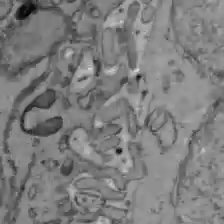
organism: C57BL Mouse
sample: Liver